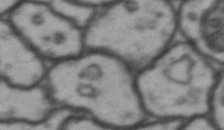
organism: Drosophila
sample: Brain